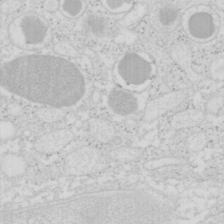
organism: Mouse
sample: Pancreas